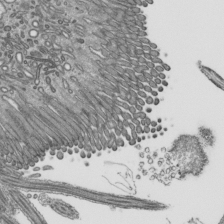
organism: Mouse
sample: Mouse epididymis efferent ductule cilia